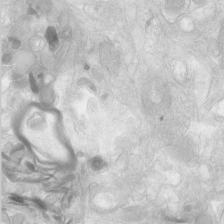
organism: Human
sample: Neocortex